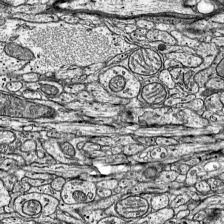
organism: Mouse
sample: Visual Cortex